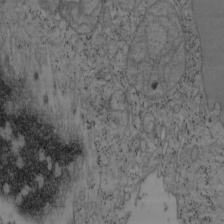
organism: Mouse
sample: OT-I killer T cells with ID8 ovarian cancer cells